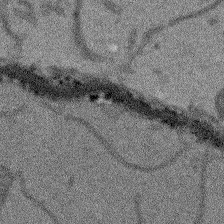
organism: Arabidopsis thaliana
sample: Root tip